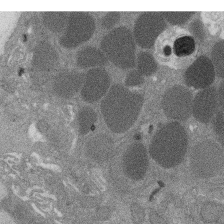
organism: Rat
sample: Salivary granule